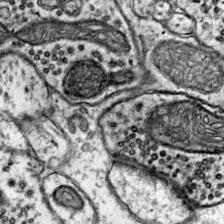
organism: Mouse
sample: Primary visual cortex